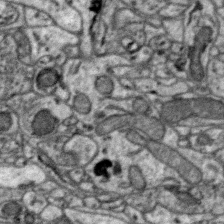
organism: Zebra finch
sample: Brain